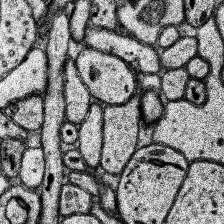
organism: Human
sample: Temporal Lobe